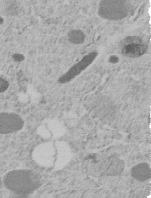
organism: C. elegans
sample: C. elegans embryo early stage